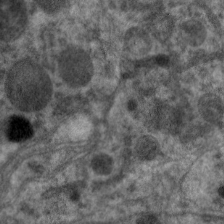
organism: C. elegans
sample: Pharynx